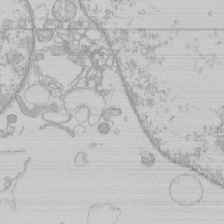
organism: Human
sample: Macrophage cells